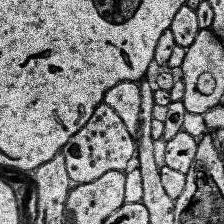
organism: Human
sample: Temporal Lobe